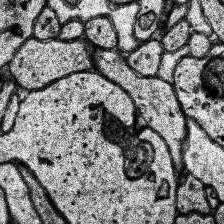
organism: Human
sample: Temporal Lobe